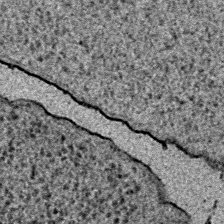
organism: E. coli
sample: E. Coli Bacteria